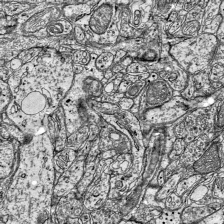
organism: Mouse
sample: Visual Cortex